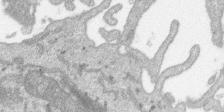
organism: Human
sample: Lung epithelial cells infected with SARS-CoV-2